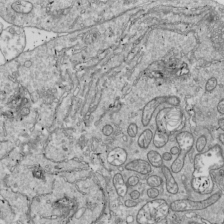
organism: Drosophila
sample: Cell division; meiosis; drosophila spermatocytes